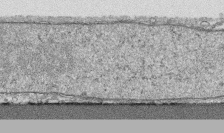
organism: Human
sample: CRL-1474